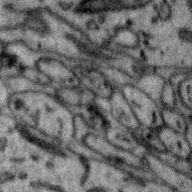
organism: Zebra finch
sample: Brain